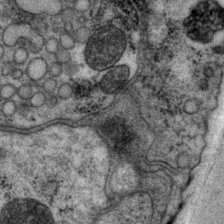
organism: P. pacificus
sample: Pharynx